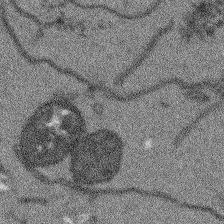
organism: Arabidopsis thaliana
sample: Root tip